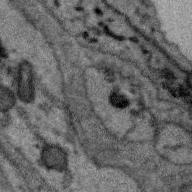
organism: Zebra finch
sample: Brain